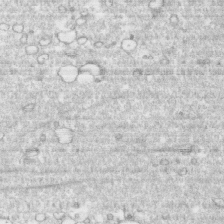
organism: Human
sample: CRL-1474